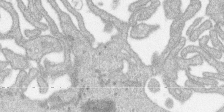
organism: Human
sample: Lung epithelial cells infected with SARS-CoV-2